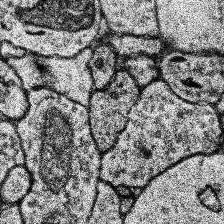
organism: Human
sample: Temporal Lobe